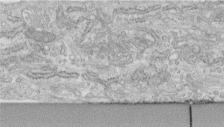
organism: Human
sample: Centriole in fibroblast cells